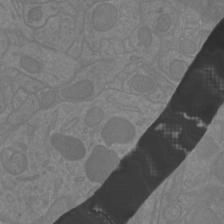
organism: Mouse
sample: Cortical neurons